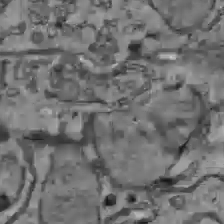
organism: C57BL Mouse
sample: Liver